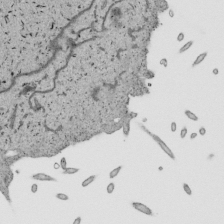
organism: Human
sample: Mitochondria in HCT116 cells